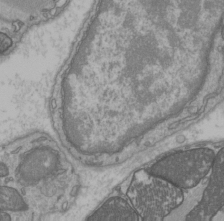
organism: C57BL Mouse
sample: Heart